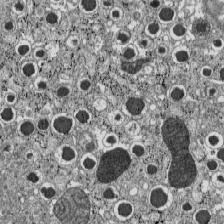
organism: C57BL Mouse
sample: Pancreatic islet